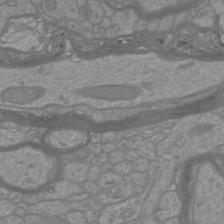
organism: Mouse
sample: Cortical neurons